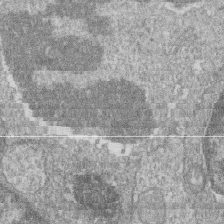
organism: Zebrafish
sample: Cilia; retinal pigment epithelium